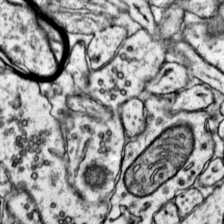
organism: Mouse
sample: Primary visual cortex